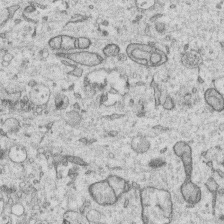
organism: Human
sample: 1205lu cells